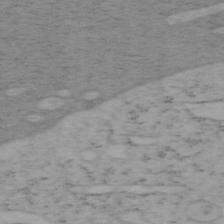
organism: Mouse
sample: OT-I killer T cells with ID8 ovarian cancer cells